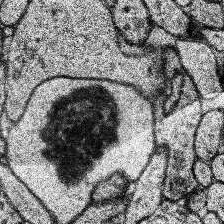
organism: Human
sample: Temporal Lobe